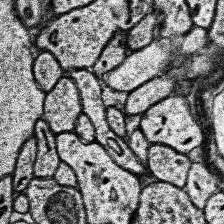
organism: Human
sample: Temporal Lobe